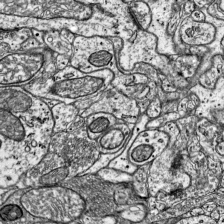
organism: Mouse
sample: Visual Cortex